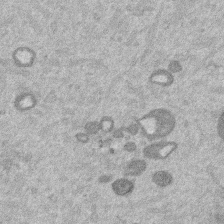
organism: Mouse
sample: Dividing mouse embryo 1 cell stage